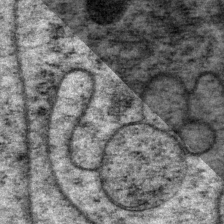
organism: P. pacificus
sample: Pharynx